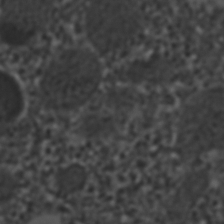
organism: C. elegans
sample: C. elegans embryo